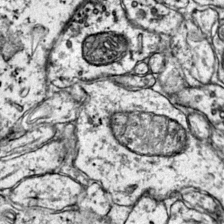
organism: Mouse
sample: Primary visual cortex